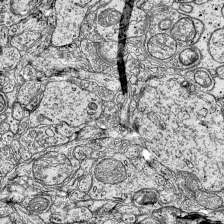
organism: Mouse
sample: Visual Cortex